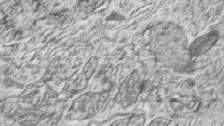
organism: Zebrafish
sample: synaptic ribbons in rod cells and cone cells